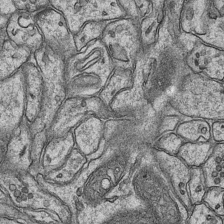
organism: Mouse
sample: CA1 Hippocampus